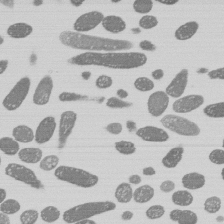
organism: E. coli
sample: Bacterial nucleoid